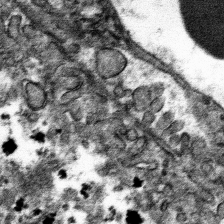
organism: Mouse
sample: Mouse hepatocytes